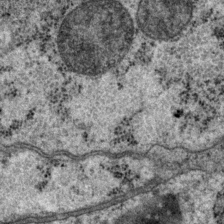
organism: P. pacificus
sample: Pharynx